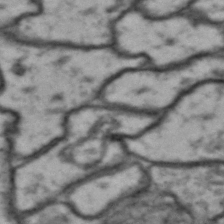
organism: Drosophila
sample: Brain